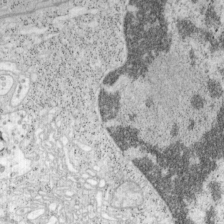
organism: Mouse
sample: OT-I killer T cells with ID8 ovarian cancer cells